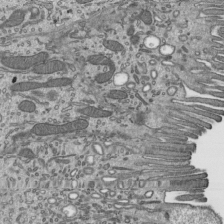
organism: Mouse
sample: Mouse epididymis efferent ductule cilia